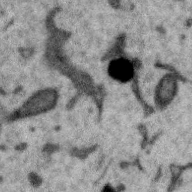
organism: Zebra finch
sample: Brain